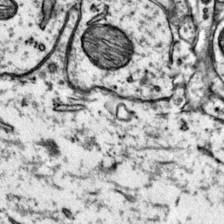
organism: Mouse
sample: Primary visual cortex